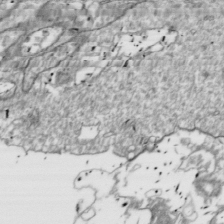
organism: Drosophila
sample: Cell division; meiosis; drosophila spermatocytes